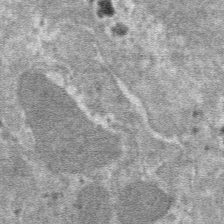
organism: Mouse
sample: Mouse hepatocytes